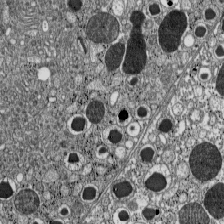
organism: C57BL Mouse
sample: Pancreatic islet